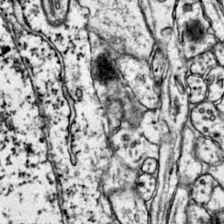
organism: Mouse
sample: Primary visual cortex